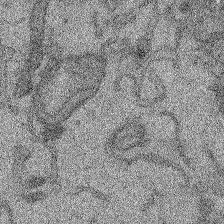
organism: Human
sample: HeLa cells